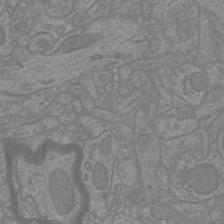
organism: Mouse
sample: Cortical neurons